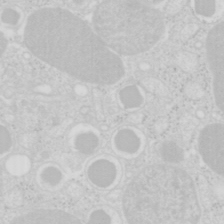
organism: Mouse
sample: Pancreas